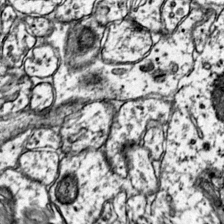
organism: Mouse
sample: Primary visual cortex